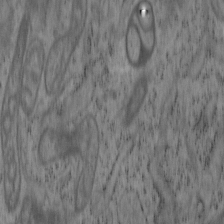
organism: Human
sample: HeLa cells